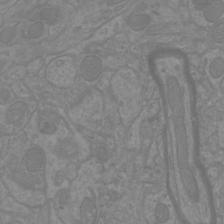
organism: Mouse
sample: Cortical neurons